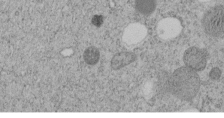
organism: C. elegans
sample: C. elegans embryo early stage